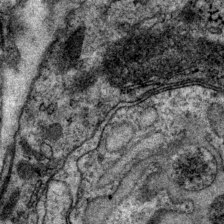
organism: P. pacificus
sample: Pharynx